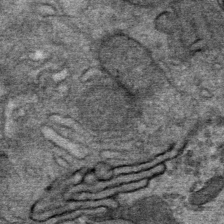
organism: Mouse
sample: Mouse Salivary gland